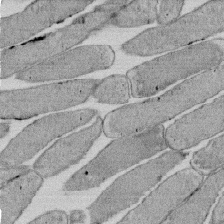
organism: E. coli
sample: Bacterial nucleoid